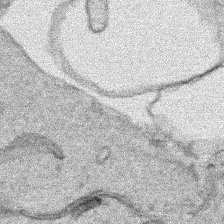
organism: Human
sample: Mitochondria in HCT116 cells